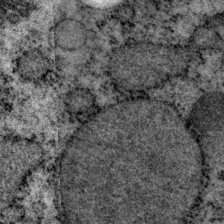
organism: P. pacificus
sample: Pharynx